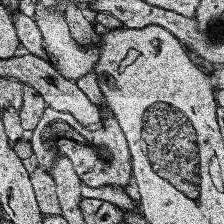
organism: Human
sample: Temporal Lobe